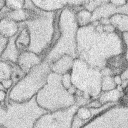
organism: Rabbit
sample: Retina